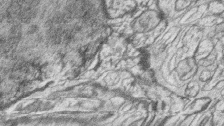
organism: Zebrafish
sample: synaptic ribbons in rod cells and cone cells